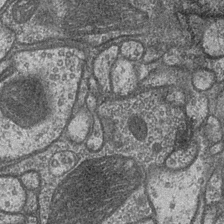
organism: Drosophila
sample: Optic medulla